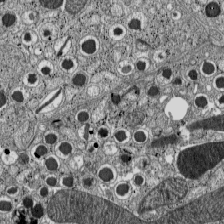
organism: C57BL Mouse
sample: Pancreatic islet